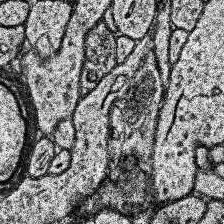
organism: Human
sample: Temporal Lobe